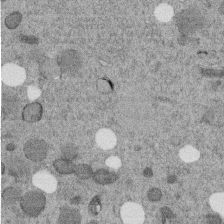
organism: C. elegans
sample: C. elegans embryo early stage